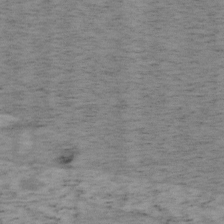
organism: Mouse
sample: OT-I killer T cells with ID8 ovarian cancer cells